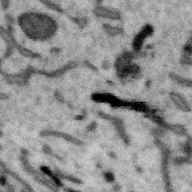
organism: Zebra finch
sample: Brain